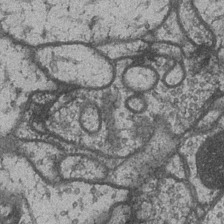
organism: Drosophila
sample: Optic medulla